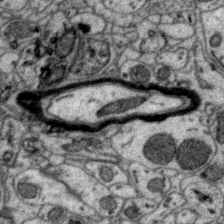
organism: Zebra finch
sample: Brain